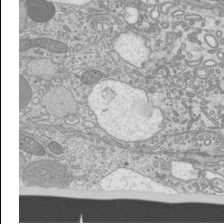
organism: Mouse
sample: Cilia; mouse epididymis